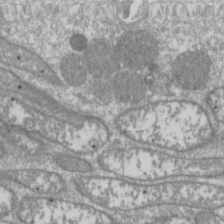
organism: Drosophila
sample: Cell division; meiosis; drosophila spermatocytes